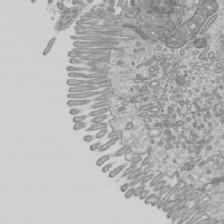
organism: Mouse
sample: Cilia; mouse epididymis